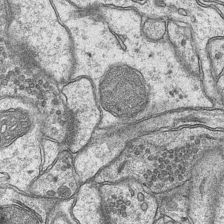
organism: Mouse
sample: CA1 Hippocampus